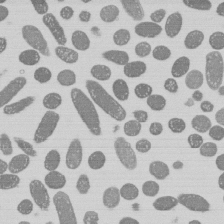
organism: E. coli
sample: Bacterial nucleoid